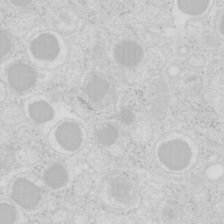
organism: Mouse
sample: Pancreas